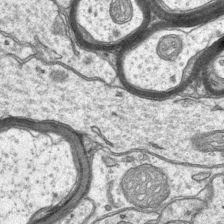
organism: Mouse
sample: CA1 Hippocampus